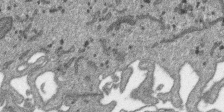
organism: Human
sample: Lung epithelial cells infected with SARS-CoV-2